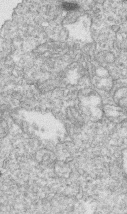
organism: Human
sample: HeLa cell HIV synapse